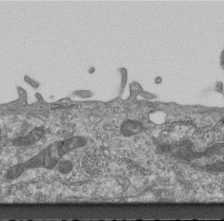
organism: Mouse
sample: Centriole in ependymal cells